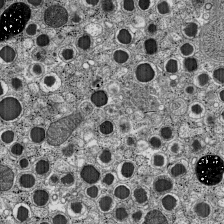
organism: C57BL Mouse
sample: Pancreatic islet